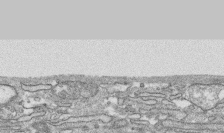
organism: Human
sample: CRL-1474